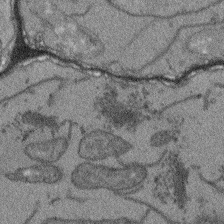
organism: Arabidopsis thaliana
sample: Root tip